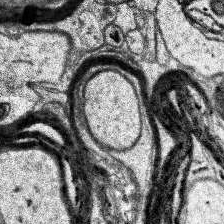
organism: Human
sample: Temporal Lobe